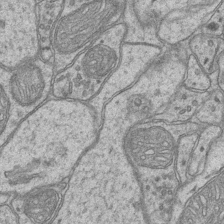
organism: Mouse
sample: CA1 Hippocampus